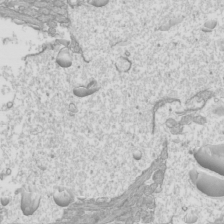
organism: Mouse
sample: Cilia; mouse epididymis